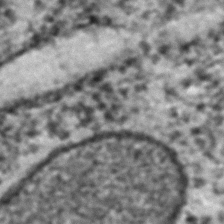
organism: C. elegans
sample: C. elegans embryo